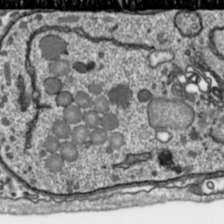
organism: Toxoplasma gondii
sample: Parasites in a vacuole inside a host cell